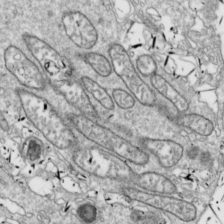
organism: Drosophila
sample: Cell division; meiosis; drosophila spermatocytes